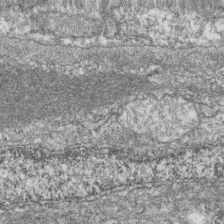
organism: Zebrafish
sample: Cilia; retinal pigment epithelium